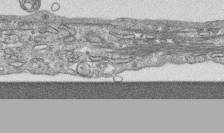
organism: Human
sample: CRL-1474